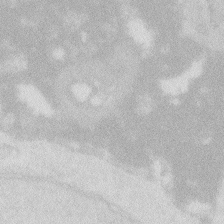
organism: Zebrafish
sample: Macrophage